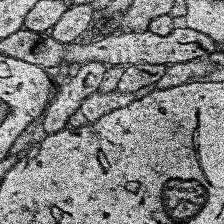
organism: Human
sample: Temporal Lobe